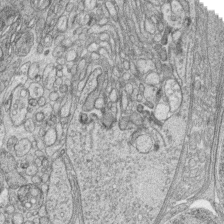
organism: Zebrafish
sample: synaptic ribbons in rod cells and cone cells